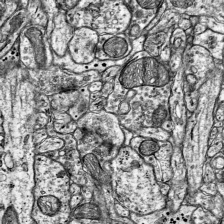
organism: Mouse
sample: Visual Cortex